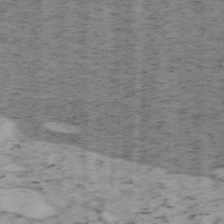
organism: Mouse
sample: OT-I killer T cells with ID8 ovarian cancer cells